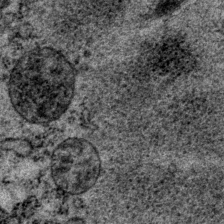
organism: P. pacificus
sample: Pharynx